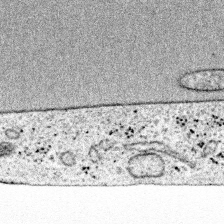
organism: Human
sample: HeLa cells